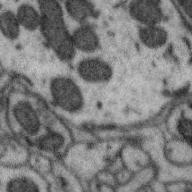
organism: Zebra finch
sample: Brain